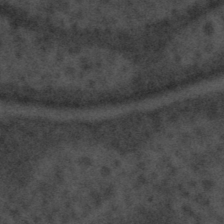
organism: Tuwongella immobilis